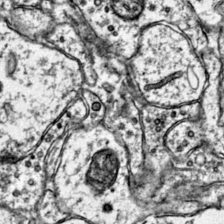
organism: Mouse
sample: Primary visual cortex